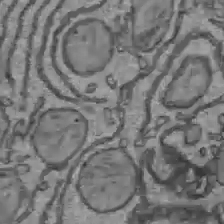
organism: C57BL Mouse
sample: Liver